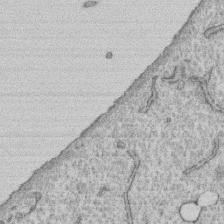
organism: Human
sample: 1205lu cells